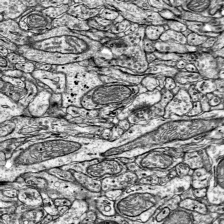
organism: Mouse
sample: Visual Cortex